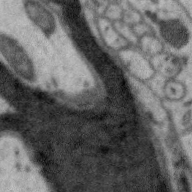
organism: Zebra finch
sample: Brain